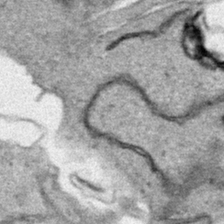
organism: Human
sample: Mitochondria in HCT116 cells